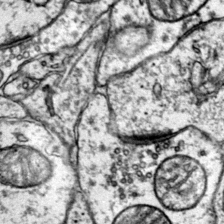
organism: Mouse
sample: Primary visual cortex